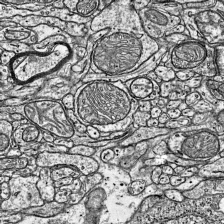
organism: Mouse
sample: Visual Cortex